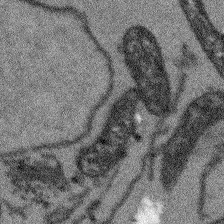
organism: Arabidopsis thaliana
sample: Root tip